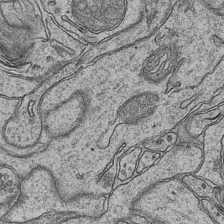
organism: Mouse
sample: CA1 Hippocampus